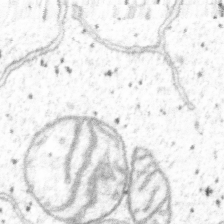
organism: Human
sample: HeLa cells